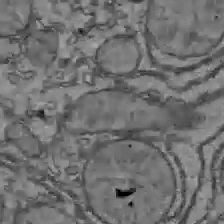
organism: C57BL Mouse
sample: Liver